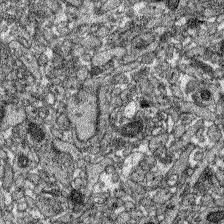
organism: Zebrafish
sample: Larval olfactory bulb